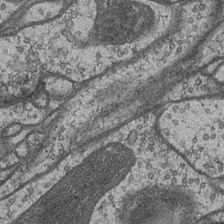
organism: Drosophila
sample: Optic medulla